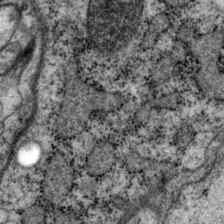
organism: P. pacificus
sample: Pharynx